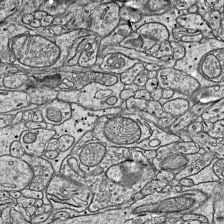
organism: Mouse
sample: Visual Cortex